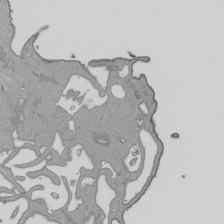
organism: Human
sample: Mitochondria in HCT116 cells